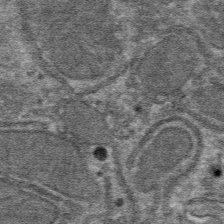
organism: Mouse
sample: Mouse hepatocytes